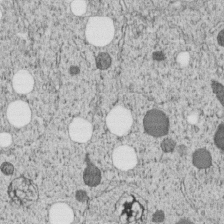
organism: C. elegans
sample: C. elegans embryo early stage